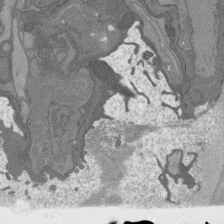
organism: C. elegans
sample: AFD neurons C. elegans